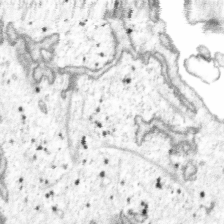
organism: Human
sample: HeLa cells